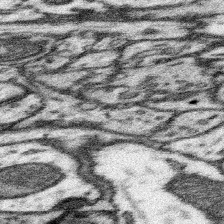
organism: Mouse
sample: Somatosensory cortex neuropil